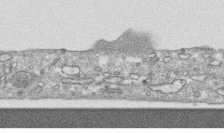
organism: Human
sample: CRL-1474